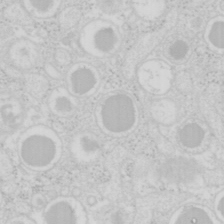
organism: Mouse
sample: Pancreas